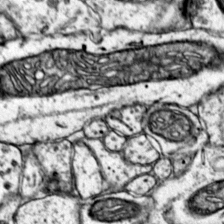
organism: Mouse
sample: Primary visual cortex